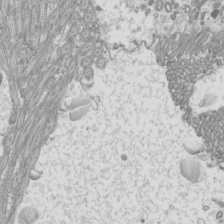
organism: Mouse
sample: Cilia; mouse epididymis